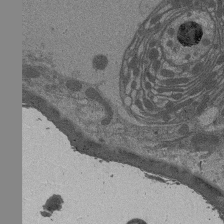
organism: Drosophila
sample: Antenna